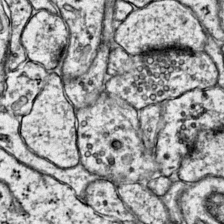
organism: Mouse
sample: Primary visual cortex